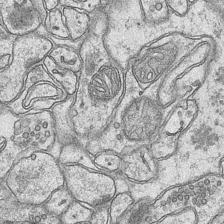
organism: Mouse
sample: CA1 Hippocampus